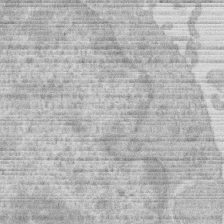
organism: Human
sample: Macrophage cells